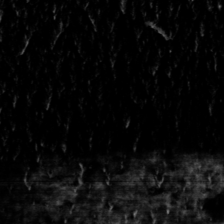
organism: Toxoplasma gondii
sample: Parasites in a vacuole inside a host cell